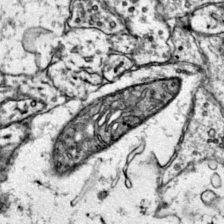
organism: Mouse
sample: Primary visual cortex